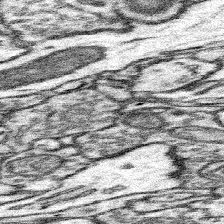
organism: Mouse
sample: Somatosensory cortex neuropil